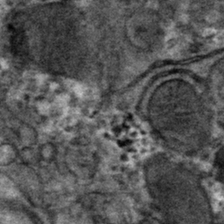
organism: Mouse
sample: Mouse hepatocytes